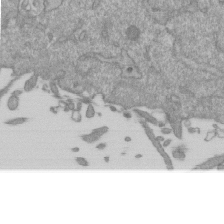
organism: Mouse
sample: ED-1 cell nuclei; centrioles